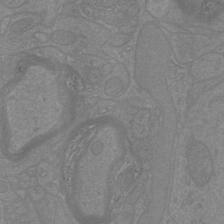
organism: Mouse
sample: Cortical neurons